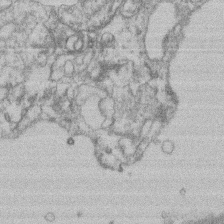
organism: Mouse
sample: T cell stromal cell synapse